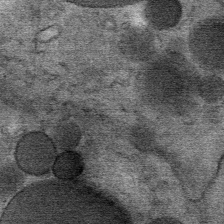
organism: Mouse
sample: Mouse Salivary gland